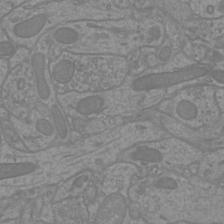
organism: Mouse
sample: Cortical neurons